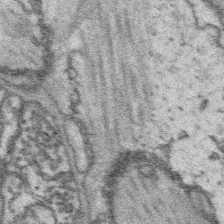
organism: Platynereis dumerilii